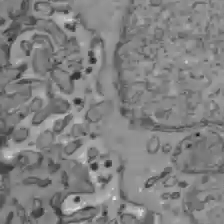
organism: C57BL Mouse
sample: Liver